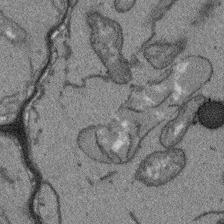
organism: Arabidopsis thaliana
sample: Root tip